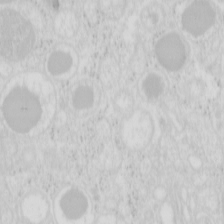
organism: Mouse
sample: Pancreas